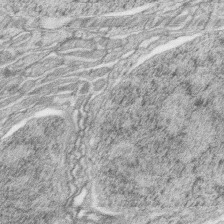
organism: Zebrafish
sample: synaptic ribbons in rod cells and cone cells